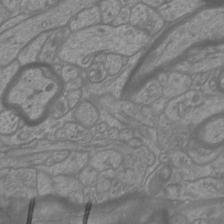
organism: Mouse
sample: Cortical neurons